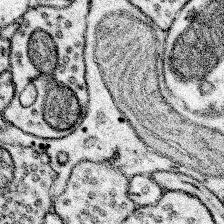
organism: Mouse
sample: Somatosensory cortex neuropil